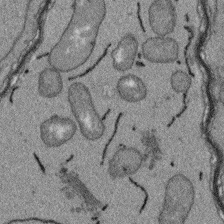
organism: Arabidopsis thaliana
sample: Root tip